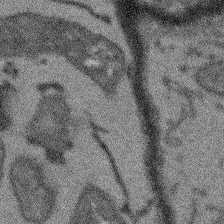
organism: Arabidopsis thaliana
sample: Root tip